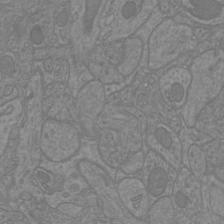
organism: Mouse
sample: Cortical neurons